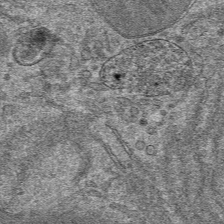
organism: Mouse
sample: Mouse hepatocytes